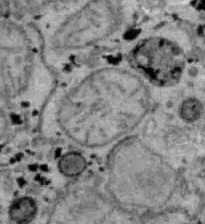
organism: Mouse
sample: Liver from an obese (ob/ob) mouse